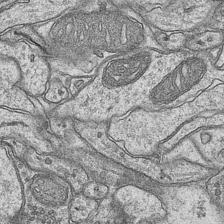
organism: Mouse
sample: CA1 Hippocampus